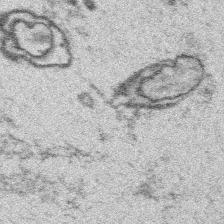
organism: Platynereis dumerilii